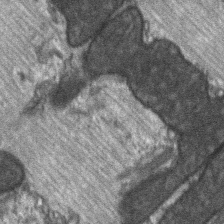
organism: C57BL Mouse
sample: Soleus